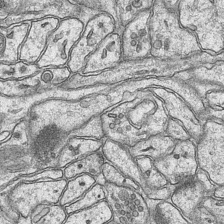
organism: Mouse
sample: CA1 Hippocampus